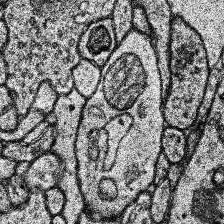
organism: Human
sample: Temporal Lobe